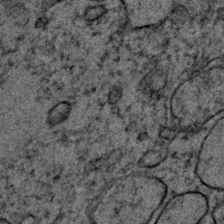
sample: Trachea